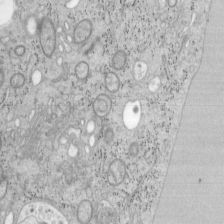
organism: Mouse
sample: OT-I killer T cells with ID8 ovarian cancer cells